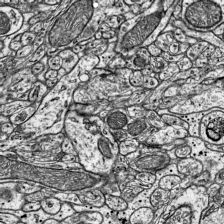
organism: Mouse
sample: Visual Cortex